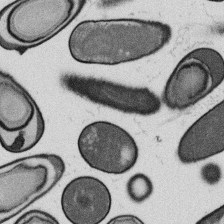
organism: B. subtilis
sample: Bacterial spore